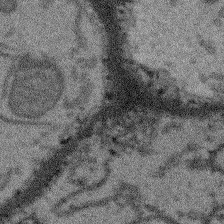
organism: Arabidopsis thaliana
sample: Root tip